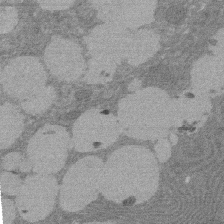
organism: Rat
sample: Salivary granule